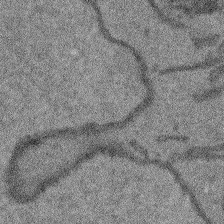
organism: Arabidopsis thaliana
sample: Root tip